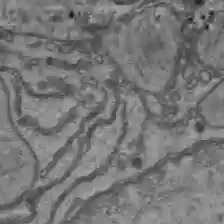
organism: C57BL Mouse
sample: Liver